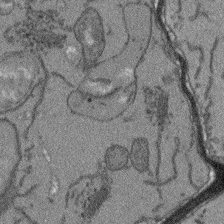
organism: Arabidopsis thaliana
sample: Root tip